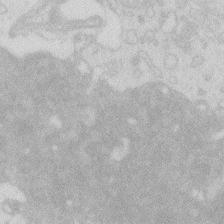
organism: Zebrafish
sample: Macrophage